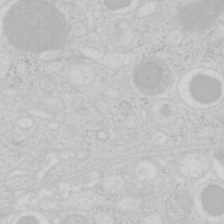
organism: Mouse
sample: Pancreas